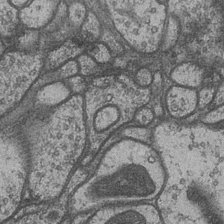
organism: Drosophila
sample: Optic medulla